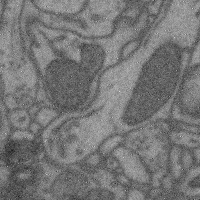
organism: Mouse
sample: Cerebral cortex